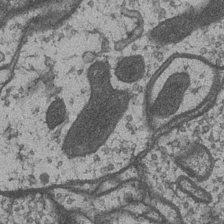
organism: Drosophila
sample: Optic medulla